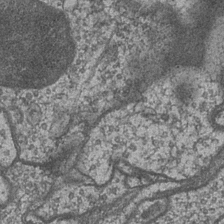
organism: Drosophila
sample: Optic medulla